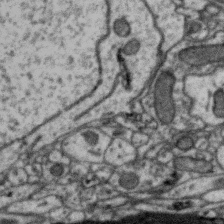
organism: Zebra finch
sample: Brain